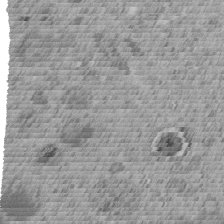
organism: C. elegans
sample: C. elegans embryo early stage